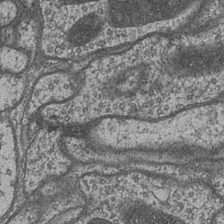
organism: Drosophila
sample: Optic medulla